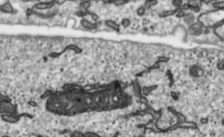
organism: Toxoplasma gondii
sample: Parasites in a vacuole inside a host cell